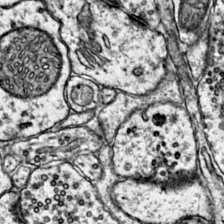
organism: Mouse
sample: Primary visual cortex